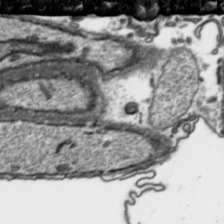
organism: Toxoplasma gondii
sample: Parasites in a vacuole inside a host cell